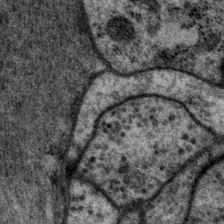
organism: P. pacificus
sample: Pharynx